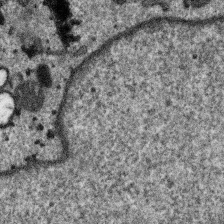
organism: Human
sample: Lung epithelial cells infected with SARS-CoV-2